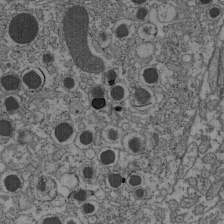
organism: C57BL Mouse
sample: Pancreatic islet